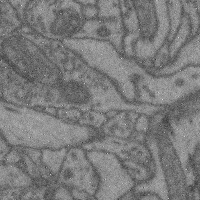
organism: Mouse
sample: Cerebral cortex